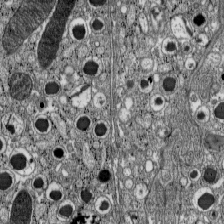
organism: C57BL Mouse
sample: Pancreatic islet